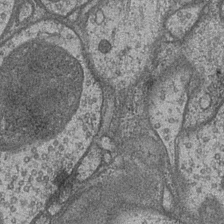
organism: Drosophila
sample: Optic medulla